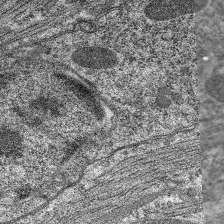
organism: C. elegans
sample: Pharynx